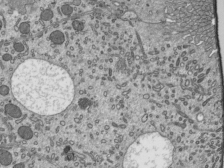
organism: Mouse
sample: Mouse epididymis efferent ductule cilia